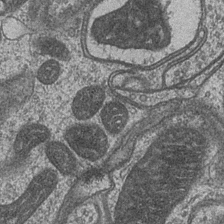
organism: Drosophila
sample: Optic medulla